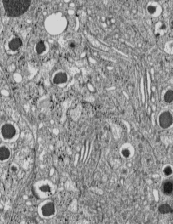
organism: C57BL Mouse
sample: Pancreatic islet